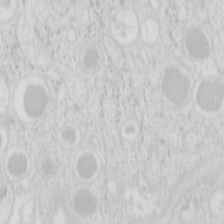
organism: Mouse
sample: Pancreas